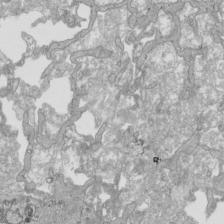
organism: Human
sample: Mitochondria in HCT116 cells